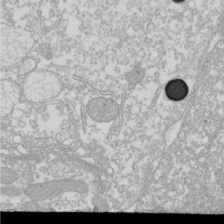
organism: Xenopus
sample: Cilia; centrioles in frog embryo cells